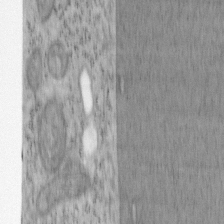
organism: Human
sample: HeLa cells